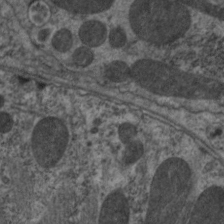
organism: C. elegans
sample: Pharynx